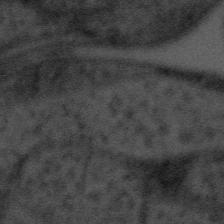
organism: Tuwongella immobilis